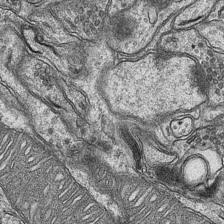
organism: Mouse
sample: CA1 Hippocampus